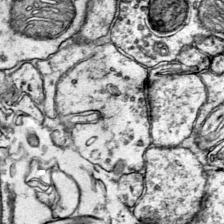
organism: Mouse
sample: Primary visual cortex